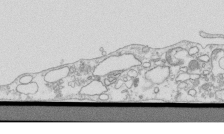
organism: Mouse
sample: Macrophages